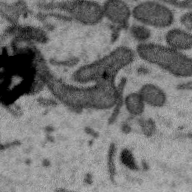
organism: Zebra finch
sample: Brain